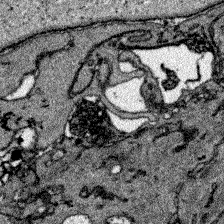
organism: Zebrafish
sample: Larval olfactory bulb